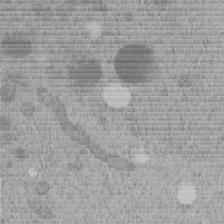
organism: C. elegans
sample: C. elegans embryo early stage